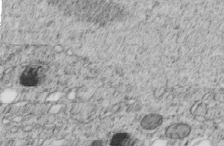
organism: C. elegans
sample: C. elegans embryo early stage